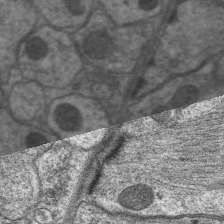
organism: C. elegans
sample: Pharynx